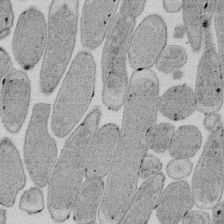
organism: E. coli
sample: Bacterial nucleoid